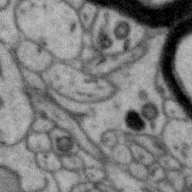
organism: Zebra finch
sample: Brain